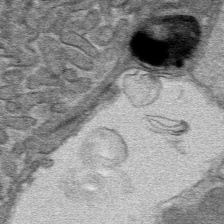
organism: Mouse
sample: Mouse hepatocytes